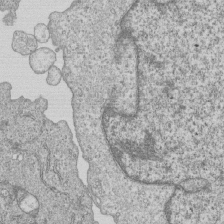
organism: Human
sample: MDA-MB-231 cells